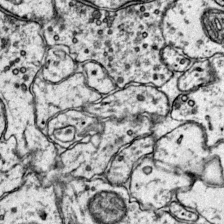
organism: Mouse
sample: Primary visual cortex